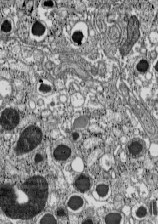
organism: C57BL Mouse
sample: Pancreatic islet